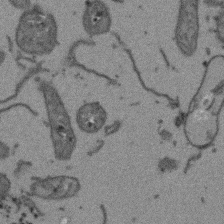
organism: Arabidopsis thaliana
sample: Root tip